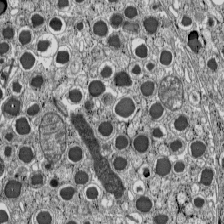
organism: C57BL Mouse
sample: Pancreatic islet